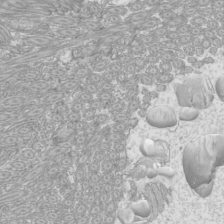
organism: Mouse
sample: Cilia; mouse epididymis